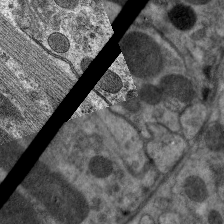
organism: C. elegans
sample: Pharynx